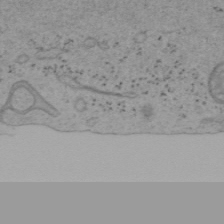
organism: Human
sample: HeLa cells